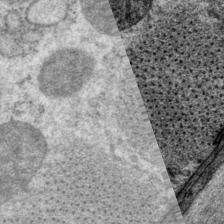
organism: P. pacificus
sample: Pharynx